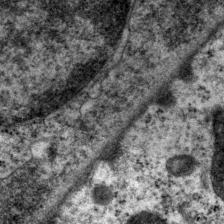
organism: P. pacificus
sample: Pharynx